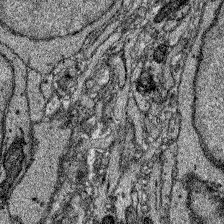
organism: Zebrafish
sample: Larval olfactory bulb